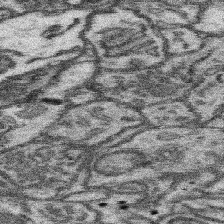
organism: Mouse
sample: Somatosensory cortex neuropil